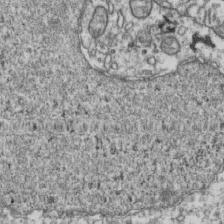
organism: Human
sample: Activated Jurkat CD4+ T cells